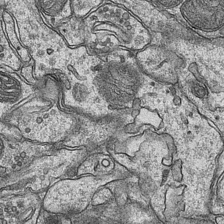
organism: Mouse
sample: CA1 Hippocampus